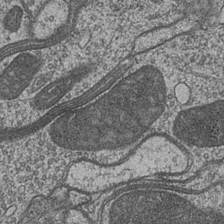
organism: Drosophila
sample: Optic medulla